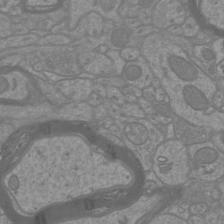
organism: Mouse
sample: Cortical neurons